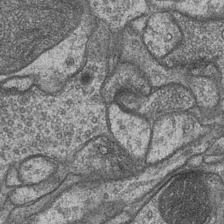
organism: Drosophila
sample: Optic medulla